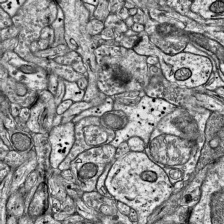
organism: Mouse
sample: Visual Cortex